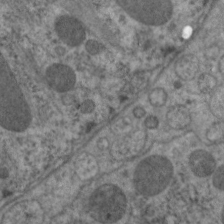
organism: C. elegans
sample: Pharynx